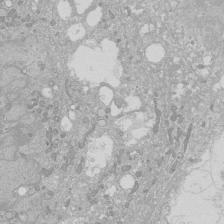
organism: Human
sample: Caco-2 cells